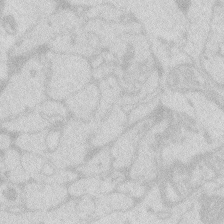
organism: Zebrafish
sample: Macrophage